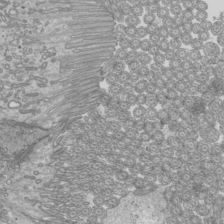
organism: Mouse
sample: Cilia; mouse epididymis